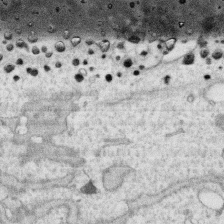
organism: Human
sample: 1205lu cells